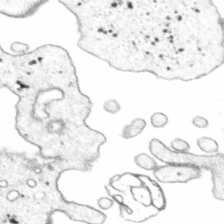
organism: Human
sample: HeLa cells